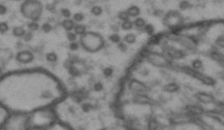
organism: Drosophila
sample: Brain